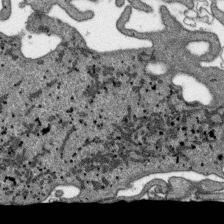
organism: Human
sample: Lung epithelial cells, uninfected (mock) control